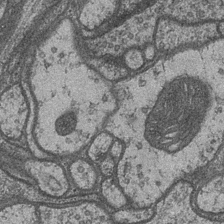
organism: Drosophila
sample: Optic medulla